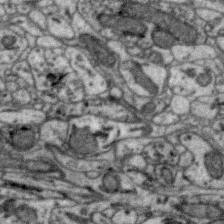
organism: Zebra finch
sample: Brain